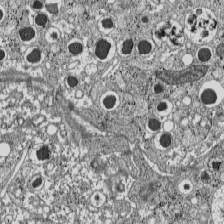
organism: C57BL Mouse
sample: Pancreatic islet